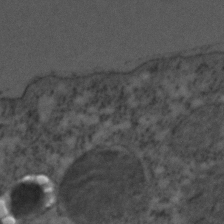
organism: C. elegans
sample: C. elegans embryo